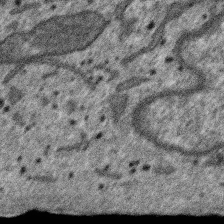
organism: Human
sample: Lung epithelial cells infected with SARS-CoV-2